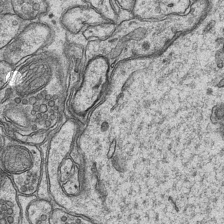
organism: Mouse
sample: CA1 Hippocampus